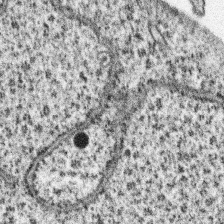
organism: Human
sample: HeLa cells